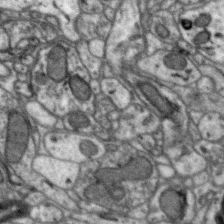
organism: Zebra finch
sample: Brain